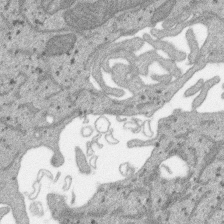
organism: Human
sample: Lung epithelial cells infected with SARS-CoV-2